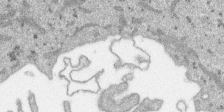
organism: Human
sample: Lung epithelial cells infected with SARS-CoV-2